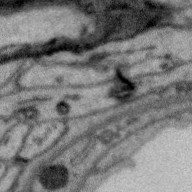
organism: Zebra finch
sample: Brain